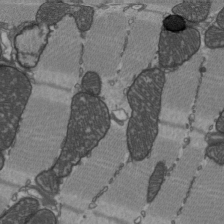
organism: C57BL Mouse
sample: Heart